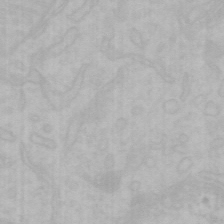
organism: Mouse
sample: Choroid plexus